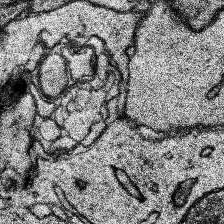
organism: Human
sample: Temporal Lobe